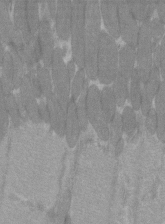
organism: C57BL Mouse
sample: Tibialis anterior muscle cell